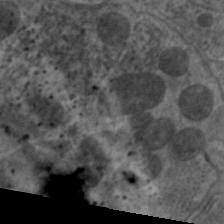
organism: C. elegans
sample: Pharynx